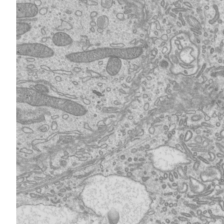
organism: Mouse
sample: Cilia; mouse epididymis